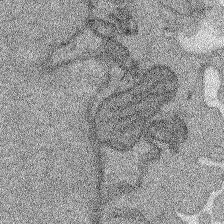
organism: Human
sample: HeLa cells